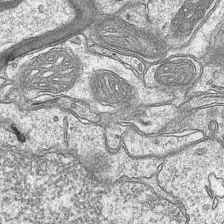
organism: Mouse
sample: CA1 Hippocampus